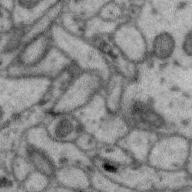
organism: Zebra finch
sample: Brain